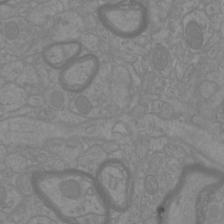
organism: Mouse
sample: Cortical neurons